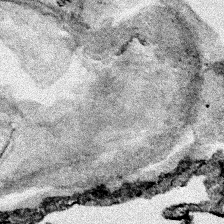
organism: Human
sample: Mitochondria in HCT116 cells